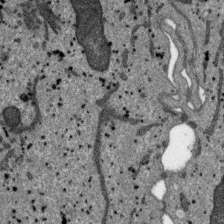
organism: Human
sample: Lung epithelial cells, uninfected (mock) control